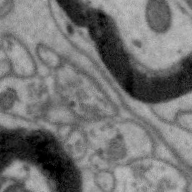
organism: Zebra finch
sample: Brain